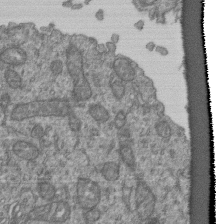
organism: Human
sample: Retinal organoid Rod and Cone cells